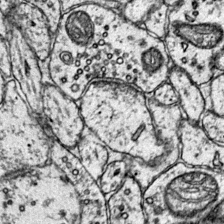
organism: Mouse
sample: Primary visual cortex